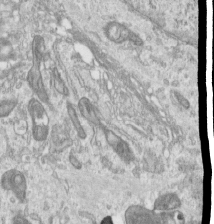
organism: Human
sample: Centriole in RPE cells